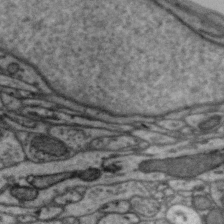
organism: Zebra finch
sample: Brain